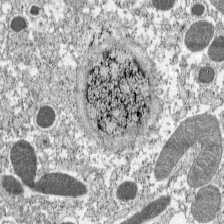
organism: C57BL Mouse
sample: Pancreatic islet